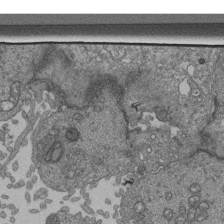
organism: Human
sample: Retinal organoid Rod and Cone cells